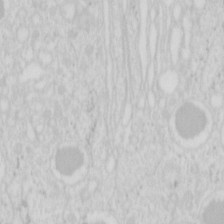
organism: Mouse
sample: Pancreas